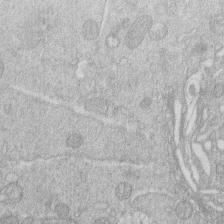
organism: Human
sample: Macrophage cells